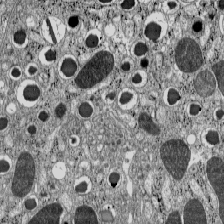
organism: C57BL Mouse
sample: Pancreatic islet